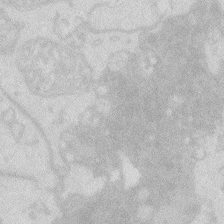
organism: Zebrafish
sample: Macrophage